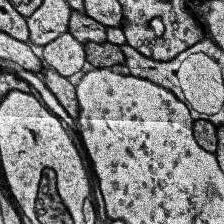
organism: Human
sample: Temporal Lobe